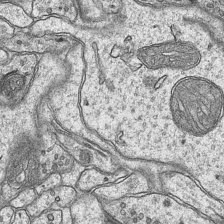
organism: Mouse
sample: CA1 Hippocampus